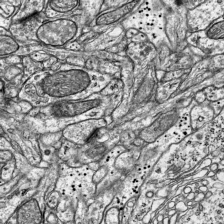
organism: Mouse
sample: Visual Cortex